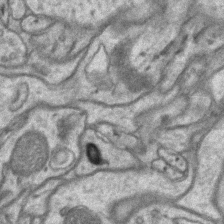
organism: Mouse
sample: CA1 Hippocampus